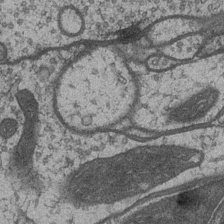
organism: Drosophila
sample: Optic medulla